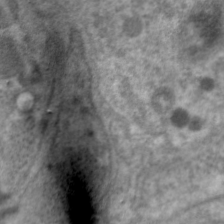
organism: C. elegans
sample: Pharynx